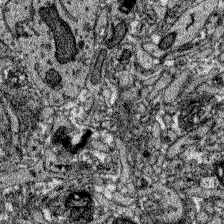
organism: Zebrafish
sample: Larval olfactory bulb